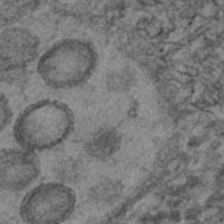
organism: C. elegans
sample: C. elegans embryo